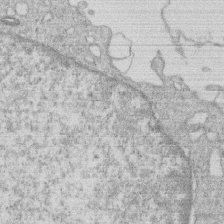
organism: Human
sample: Macrophage cells